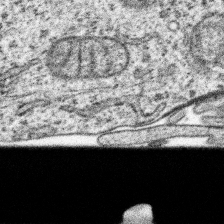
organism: Human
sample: HeLa cells